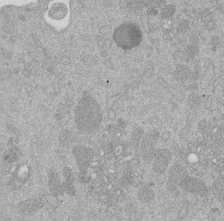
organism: Mouse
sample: Dividing mouse embryo 1 cell stage